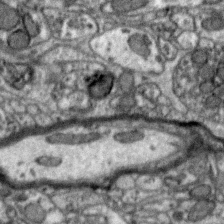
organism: Zebra finch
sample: Brain